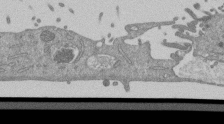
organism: Mouse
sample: ED-1 cell nuclei; centrioles